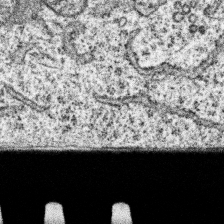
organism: Human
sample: HeLa cells